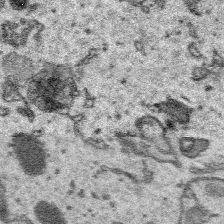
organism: Platynereis dumerilii